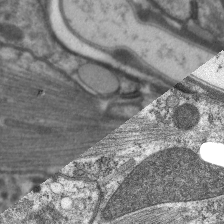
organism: C. elegans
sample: Pharynx